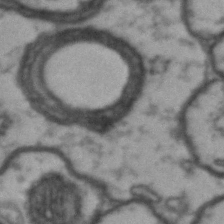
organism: Drosophila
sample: Brain